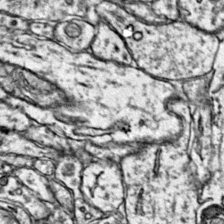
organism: Mouse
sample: Primary visual cortex